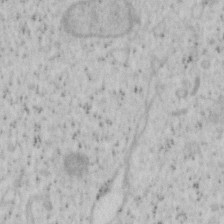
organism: Human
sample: HeLa cells